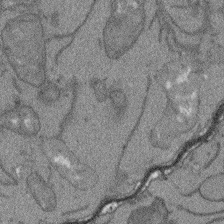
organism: Arabidopsis thaliana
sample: Root tip